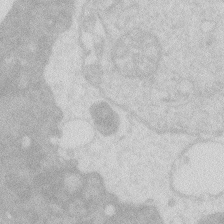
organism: Zebrafish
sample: Macrophage